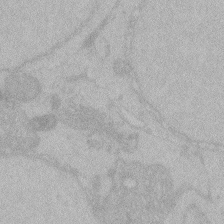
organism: Zebrafish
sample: Macrophage infected with Toxoplasma gondii